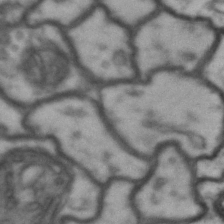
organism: Drosophila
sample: Brain